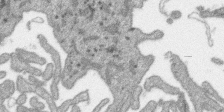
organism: Human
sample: Lung epithelial cells infected with SARS-CoV-2